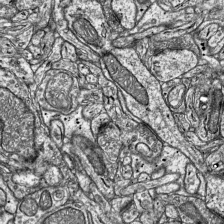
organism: Mouse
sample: Visual Cortex